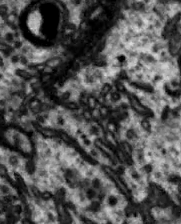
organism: Human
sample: HeLa cells